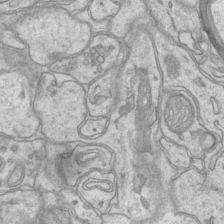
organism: Mouse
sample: CA1 Hippocampus